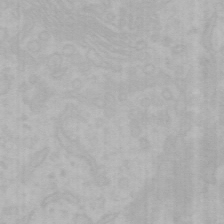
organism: Mouse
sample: Choroid plexus